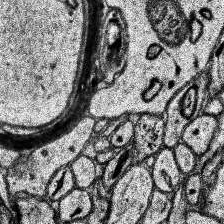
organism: Human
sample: Temporal Lobe